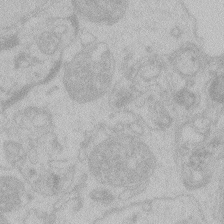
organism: Zebrafish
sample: Macrophage infected with Toxoplasma gondii